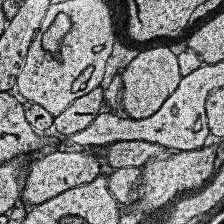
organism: Human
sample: Temporal Lobe